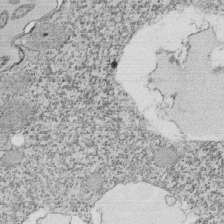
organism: Tetrahymena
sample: Cilia in tetrahymena